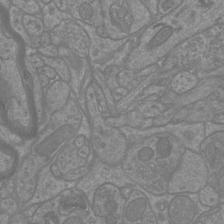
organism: Mouse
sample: Cortical neurons